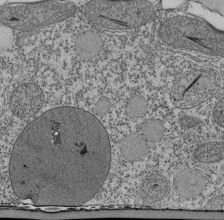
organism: Tetrahymena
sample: Cilia in tetrahymena